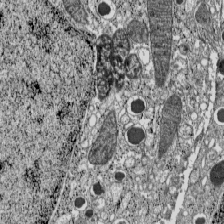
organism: C57BL Mouse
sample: Pancreatic islet